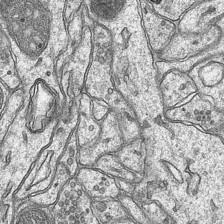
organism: Mouse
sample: CA1 Hippocampus